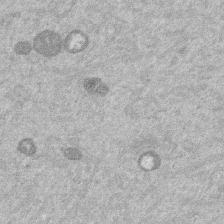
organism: Mouse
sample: Dividing mouse embryo 1 cell stage